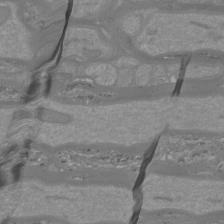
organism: Mouse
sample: Cortical neurons